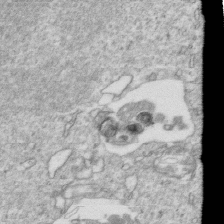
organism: Mouse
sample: Activated OT-1 CD8+ T cells